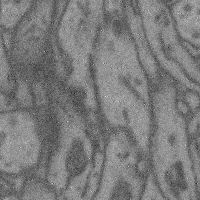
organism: Mouse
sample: Cerebral cortex